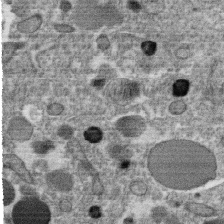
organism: C. elegans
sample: C. elegans oocyte; sperm cells